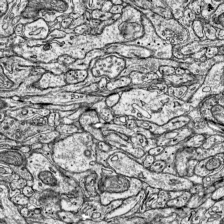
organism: Mouse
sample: Visual Cortex